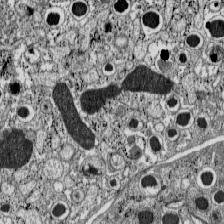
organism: C57BL Mouse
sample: Pancreatic islet